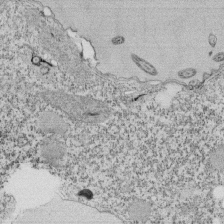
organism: Tetrahymena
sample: Cilia in tetrahymena